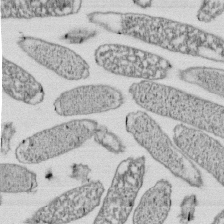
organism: E. coli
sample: Bacterial nucleoid